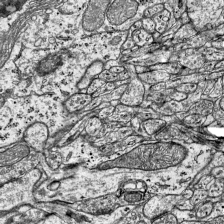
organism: Mouse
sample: Visual Cortex